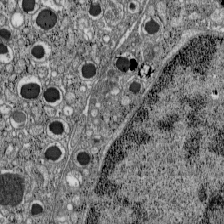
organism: C57BL Mouse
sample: Pancreatic islet